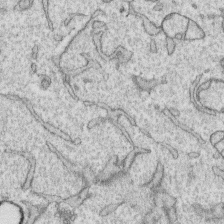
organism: Human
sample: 1205lu cells